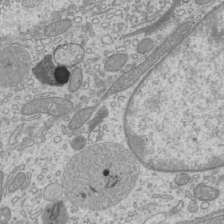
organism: Mouse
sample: Cilia; mouse epididymis